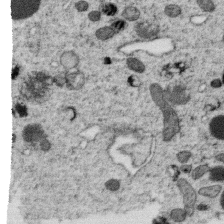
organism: C. elegans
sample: C. elegans oocyte; sperm cells